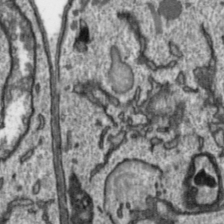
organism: Toxoplasma gondii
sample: Parasites in a vacuole inside a host cell